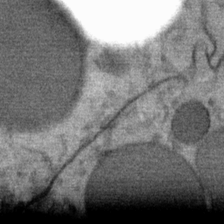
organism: Mouse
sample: Mouse Salivary gland